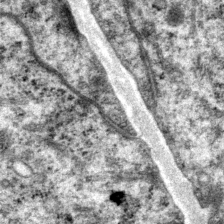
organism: P. pacificus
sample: Pharynx